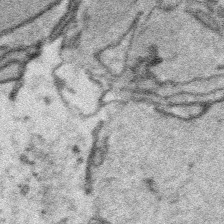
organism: Platynereis dumerilii